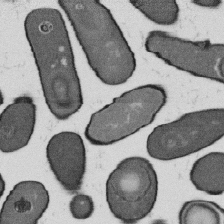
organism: B. subtilis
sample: Bacterial spore